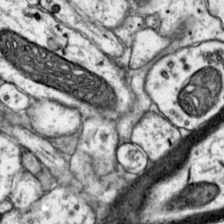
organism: Mouse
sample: Primary visual cortex